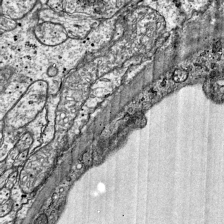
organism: Mouse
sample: Visual Cortex